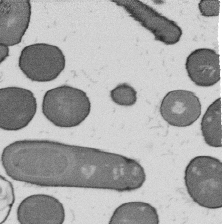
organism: B. subtilis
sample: Bacterial spore